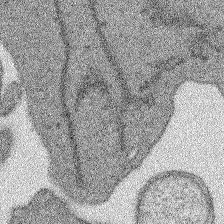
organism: Human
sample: HeLa cells